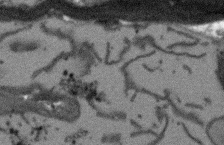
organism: Arabidopsis thaliana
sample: Root tip